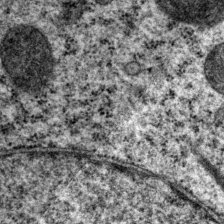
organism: P. pacificus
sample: Pharynx